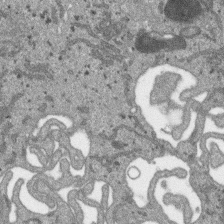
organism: Human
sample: Lung epithelial cells infected with SARS-CoV-2